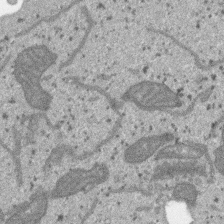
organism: Human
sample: Lung epithelial cells infected with SARS-CoV-2